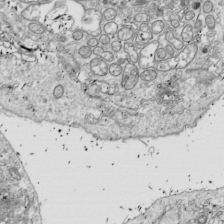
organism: Drosophila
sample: Cell division; meiosis; drosophila spermatocytes